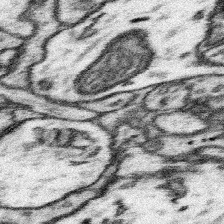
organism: Mouse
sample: Somatosensory cortex neuropil